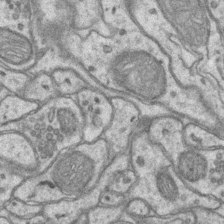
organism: Mouse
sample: CA1 Hippocampus